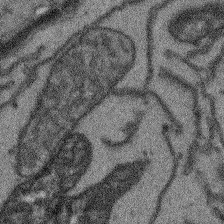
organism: Arabidopsis thaliana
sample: Root tip